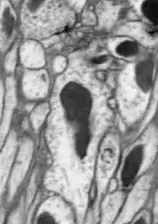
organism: Drosophila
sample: Optic lobe